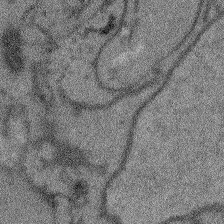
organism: Arabidopsis thaliana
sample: Root tip